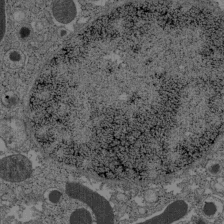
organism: C57BL Mouse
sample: Pancreatic islet